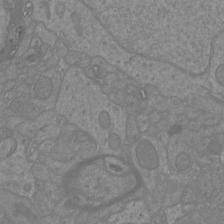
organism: Mouse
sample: Cortical neurons